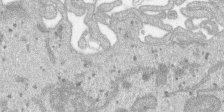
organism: Human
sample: Lung epithelial cells infected with SARS-CoV-2